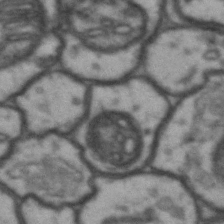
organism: Drosophila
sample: Brain